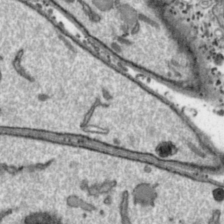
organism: Toxoplasma gondii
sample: Parasites in a vacuole inside a host cell